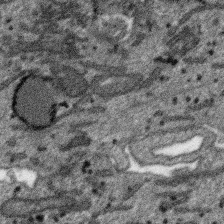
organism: Human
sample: Lung epithelial cells infected with SARS-CoV-2